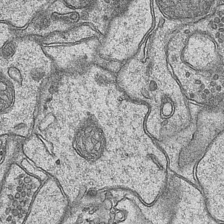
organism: Mouse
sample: CA1 Hippocampus